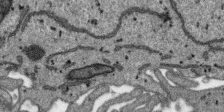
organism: Human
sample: Lung epithelial cells, uninfected (mock) control